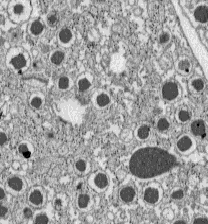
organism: C57BL Mouse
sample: Pancreatic islet